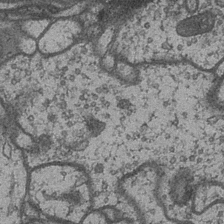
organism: Drosophila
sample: Optic medulla